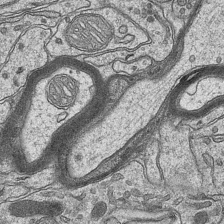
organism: Mouse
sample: CA1 Hippocampus